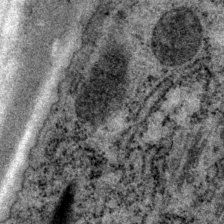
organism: P. pacificus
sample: Pharynx